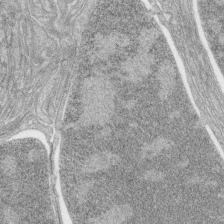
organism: Zebrafish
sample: synaptic ribbons in rod cells and cone cells